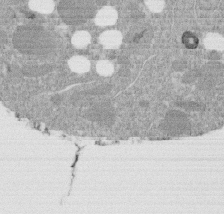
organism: C. elegans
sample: C. elegans embryo early stage